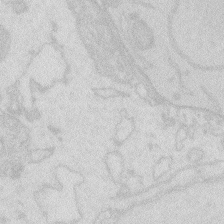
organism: Zebrafish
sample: Macrophage